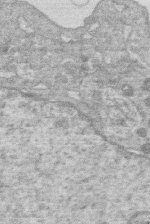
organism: Human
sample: Macrophage cells